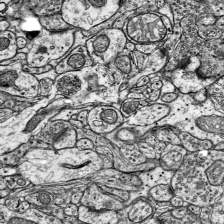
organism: Mouse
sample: Visual Cortex